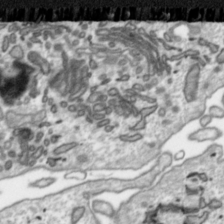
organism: Toxoplasma gondii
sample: Parasites in a vacuole inside a host cell